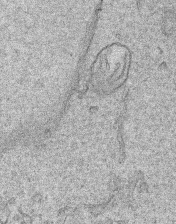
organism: Human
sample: Mitochondria in HCT116 cells